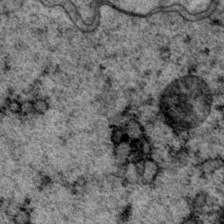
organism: P. pacificus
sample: Pharynx